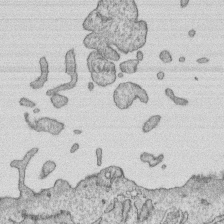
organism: Human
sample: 1205lu cells